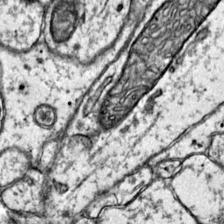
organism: Mouse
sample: Primary visual cortex